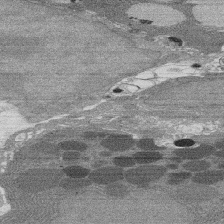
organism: Rat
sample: Salivary granule